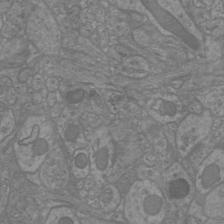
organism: Mouse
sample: Cortical neurons